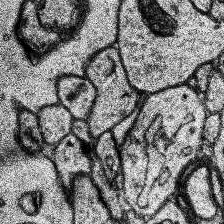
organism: Human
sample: Temporal Lobe